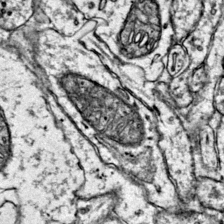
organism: Mouse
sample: Primary visual cortex